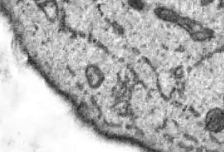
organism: Human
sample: HeLa cells